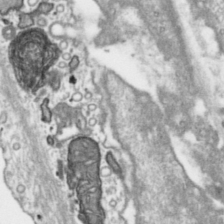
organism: Toxoplasma gondii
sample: Parasites in a vacuole inside a host cell